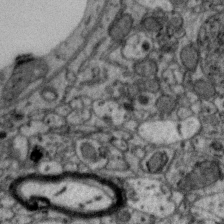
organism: Zebra finch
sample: Brain